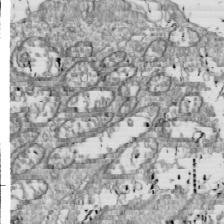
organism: Drosophila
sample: Cell division; meiosis; drosophila spermatocytes